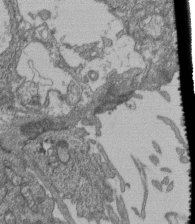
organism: Human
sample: Retinal organoid Rod and Cone cells